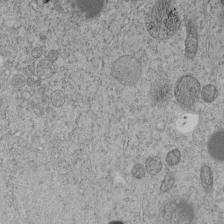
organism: C. elegans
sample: C. elegans embryo early stage